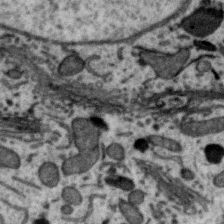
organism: Zebra finch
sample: Brain